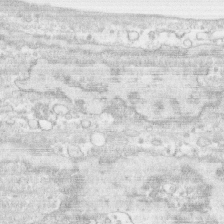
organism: Human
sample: CRL-1474